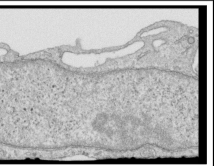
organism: Human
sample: Centriole in RPE cells